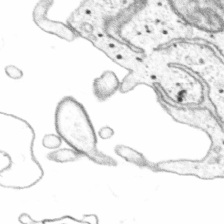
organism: Human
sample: HeLa cells